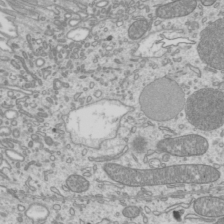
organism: Mouse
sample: Cilia; mouse epididymis